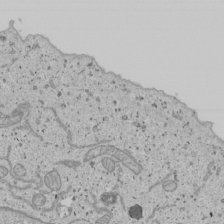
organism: Human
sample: Mitochondria in U2OS cells